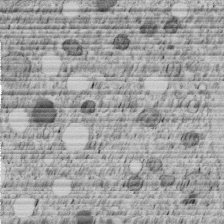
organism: C. elegans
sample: C. elegans embryo early stage